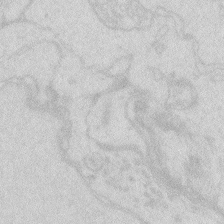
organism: Zebrafish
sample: Macrophage